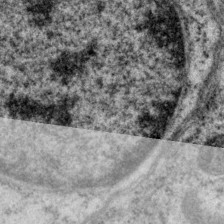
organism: P. pacificus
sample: Pharynx